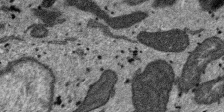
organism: Human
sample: Lung epithelial cells, uninfected (mock) control